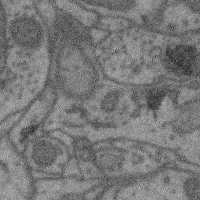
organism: Mouse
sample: Cerebral cortex